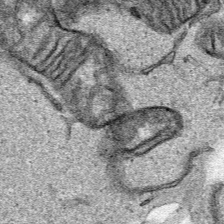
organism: Human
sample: Mitochondria in HCT116 cells